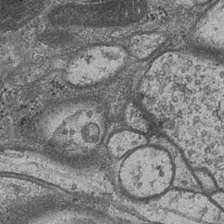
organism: Drosophila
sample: Optic medulla